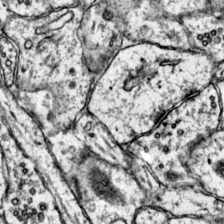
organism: Mouse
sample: Primary visual cortex